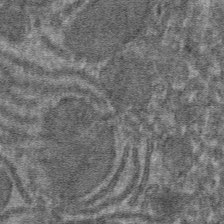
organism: Mouse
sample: Mouse hepatocytes